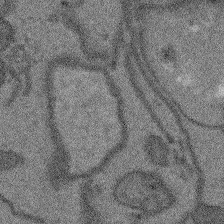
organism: Arabidopsis thaliana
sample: Root tip